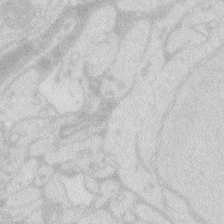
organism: Zebrafish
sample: Macrophage